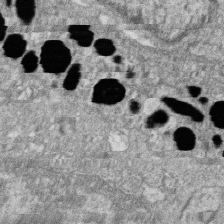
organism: Zebrafish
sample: Cilia; retinal pigment epithelium